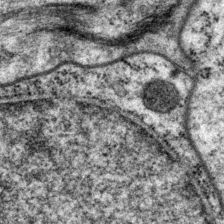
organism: P. pacificus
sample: Pharynx